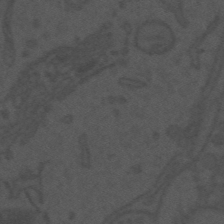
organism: Mouse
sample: Suprachiasmatic nucleus